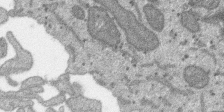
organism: Human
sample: Lung epithelial cells infected with SARS-CoV-2